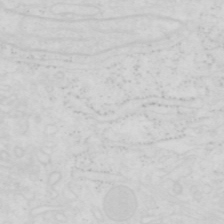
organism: Human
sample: SUM-159 cell